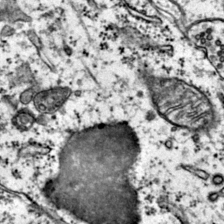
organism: Mouse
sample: Primary visual cortex